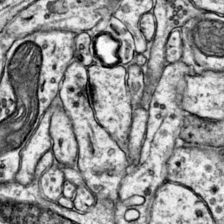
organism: Mouse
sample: Primary visual cortex